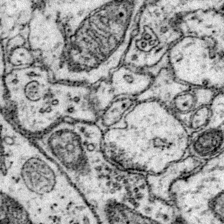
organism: Mouse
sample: Primary visual cortex